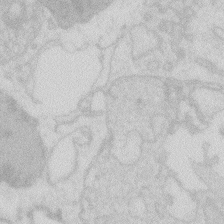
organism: Zebrafish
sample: Macrophage